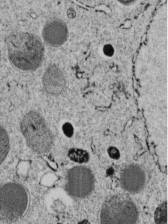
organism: C. elegans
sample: C. elegans embryo early stage